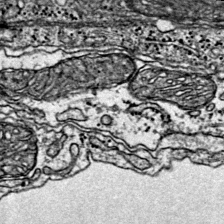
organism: Mouse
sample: Primary visual cortex